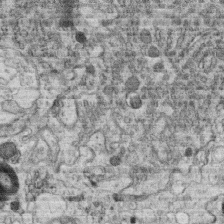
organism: C. elegans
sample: C. elegans oocyte; sperm cells